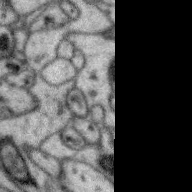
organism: Zebra finch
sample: Brain